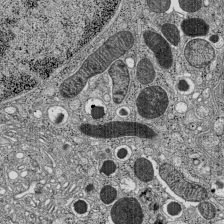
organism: C57BL Mouse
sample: Pancreatic islet